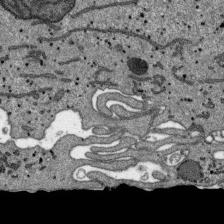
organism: Human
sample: Lung epithelial cells, uninfected (mock) control